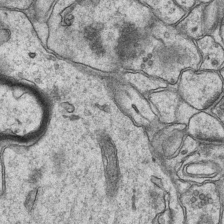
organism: Mouse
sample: CA1 Hippocampus